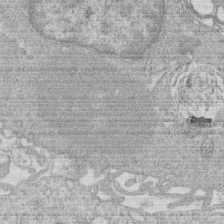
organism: Human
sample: Macrophage cells